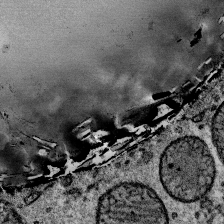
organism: Mouse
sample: Mouse Salivary gland